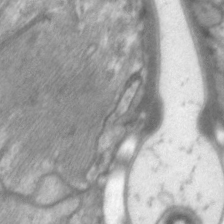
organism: C. elegans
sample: Pharynx